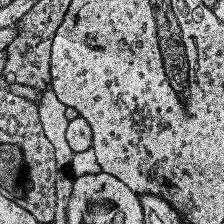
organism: Human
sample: Temporal Lobe